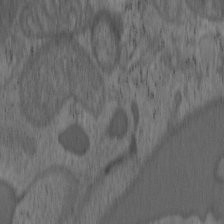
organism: Human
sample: HeLa cells